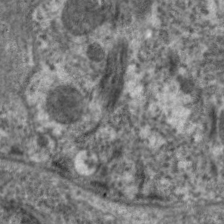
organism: C. elegans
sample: Pharynx